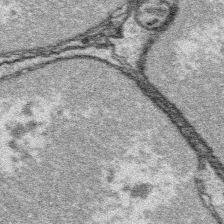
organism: Platynereis dumerilii